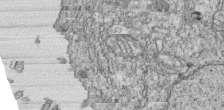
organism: Human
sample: HeLa cell HIV synapse